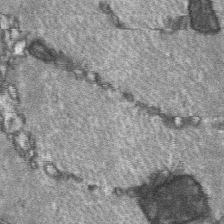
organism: C57BL Mouse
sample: Soleus